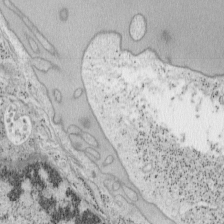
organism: Mouse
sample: OT-I killer T cells with ID8 ovarian cancer cells